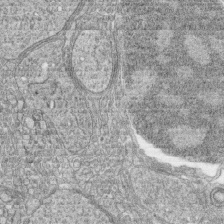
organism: Zebrafish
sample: synaptic ribbons in rod cells and cone cells